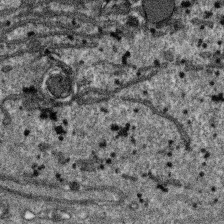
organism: Human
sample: Lung epithelial cells infected with SARS-CoV-2